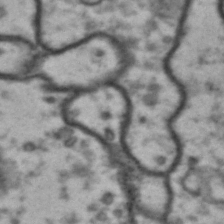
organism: Drosophila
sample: Brain